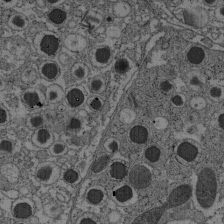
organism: C57BL Mouse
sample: Pancreatic islet